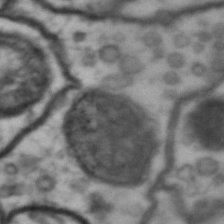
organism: Drosophila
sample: Brain